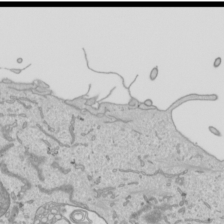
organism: Human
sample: Mitochondria in HCT116 cells